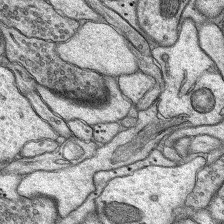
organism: Rat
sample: Hippocampus